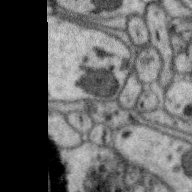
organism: Zebra finch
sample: Brain